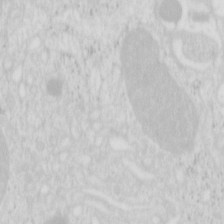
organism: Mouse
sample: Pancreas